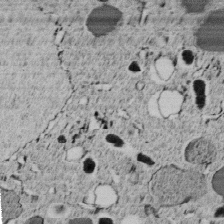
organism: C. elegans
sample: C. elegans embryo early stage